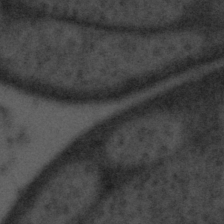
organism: Tuwongella immobilis